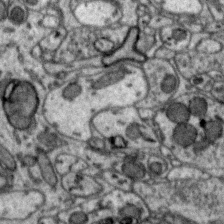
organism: Zebra finch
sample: Brain